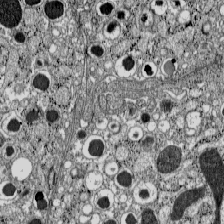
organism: C57BL Mouse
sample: Pancreatic islet